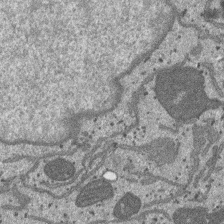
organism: Human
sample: Lung epithelial cells infected with SARS-CoV-2